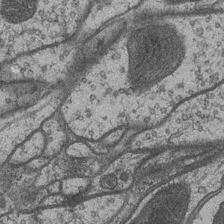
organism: Drosophila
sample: Optic medulla